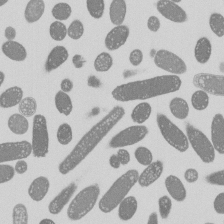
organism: E. coli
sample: Bacterial nucleoid